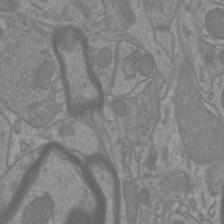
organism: Mouse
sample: Cortical neurons